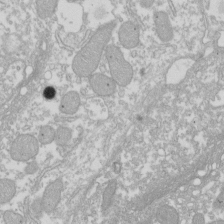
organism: Xenopus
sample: Cilia; centrioles in frog embryo cells